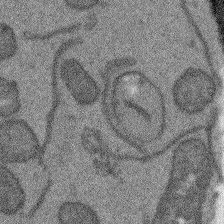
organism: Arabidopsis thaliana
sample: Root tip